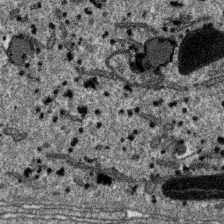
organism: Human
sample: Lung epithelial cells infected with SARS-CoV-2